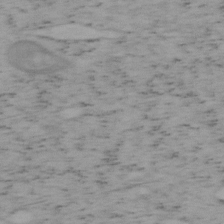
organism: Mouse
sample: OT-I killer T cells with ID8 ovarian cancer cells